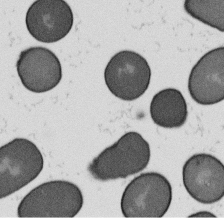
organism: B. subtilis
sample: Bacterial spore